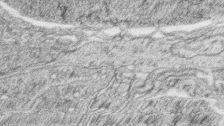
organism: Zebrafish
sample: synaptic ribbons in rod cells and cone cells